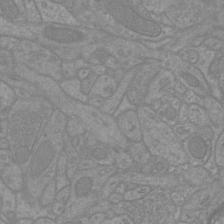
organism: Mouse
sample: Cortical neurons